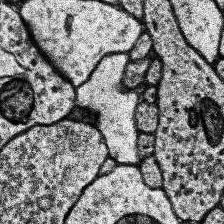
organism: Human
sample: Temporal Lobe